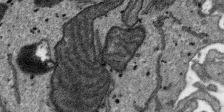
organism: Human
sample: Lung epithelial cells, uninfected (mock) control